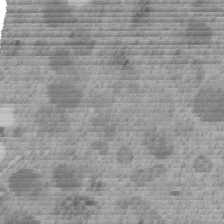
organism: C. elegans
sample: C. elegans embryo early stage